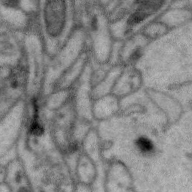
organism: Zebra finch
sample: Brain